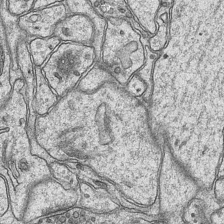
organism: Mouse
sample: CA1 Hippocampus